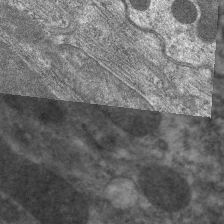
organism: C. elegans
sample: Pharynx